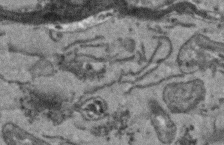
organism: Arabidopsis thaliana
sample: Root tip